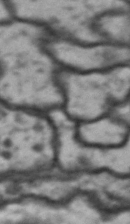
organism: Drosophila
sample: Brain